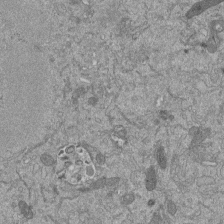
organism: Mouse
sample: ED-1 cell nuclei; centrioles